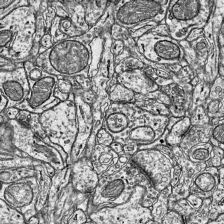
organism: Mouse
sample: Visual Cortex